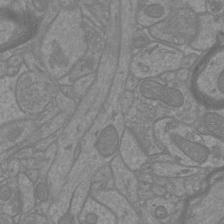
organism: Mouse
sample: Cortical neurons